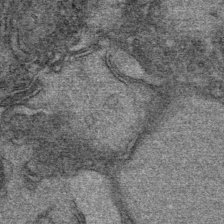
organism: Mouse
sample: Mouse Salivary gland